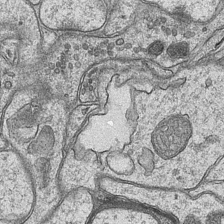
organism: Mouse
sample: CA1 Hippocampus